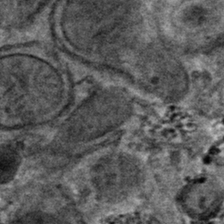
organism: Mouse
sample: Mouse hepatocytes